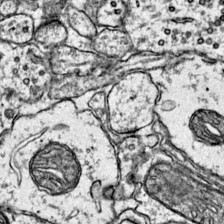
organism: Mouse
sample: Primary visual cortex